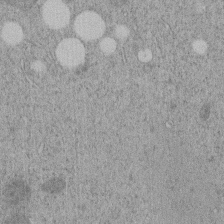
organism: C. elegans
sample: C. elegans embryo early stage